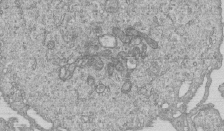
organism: Human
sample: MDA-MB-231 cells